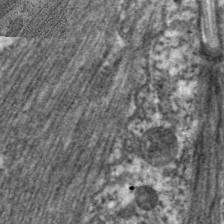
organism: C. elegans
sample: Pharynx